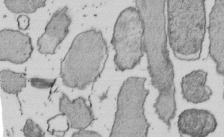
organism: E. coli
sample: Bacterial nucleoid